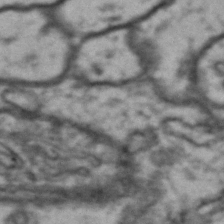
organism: Drosophila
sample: Brain